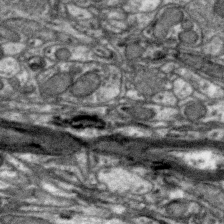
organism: Zebra finch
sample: Brain